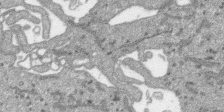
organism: Human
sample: Lung epithelial cells infected with SARS-CoV-2